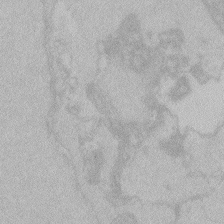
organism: Zebrafish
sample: Macrophage infected with Toxoplasma gondii